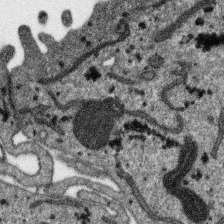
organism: Human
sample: Lung epithelial cells infected with SARS-CoV-2